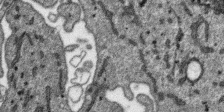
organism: Human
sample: Lung epithelial cells infected with SARS-CoV-2